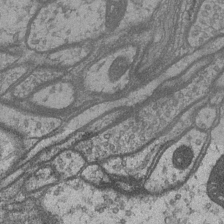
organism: Drosophila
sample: Optic medulla